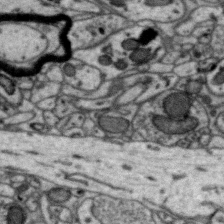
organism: Zebra finch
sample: Brain